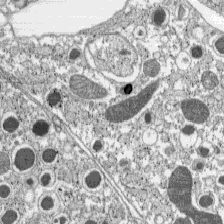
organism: C57BL Mouse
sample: Pancreatic islet